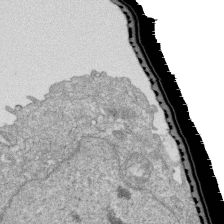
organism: Human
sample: HeLa cell HIV synapse